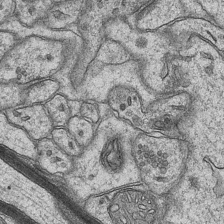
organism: Mouse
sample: CA1 Hippocampus